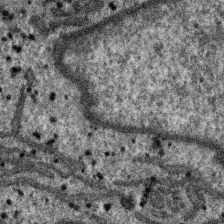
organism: Human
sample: Lung epithelial cells infected with SARS-CoV-2